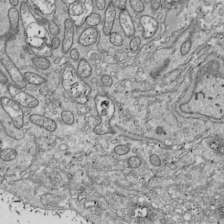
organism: Drosophila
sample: Cell division; meiosis; drosophila spermatocytes